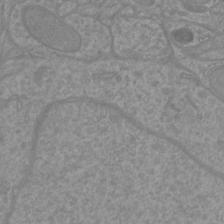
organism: Mouse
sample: Cortical neurons